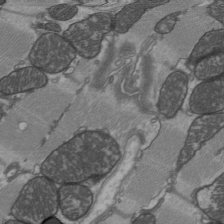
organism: C57BL Mouse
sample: Heart